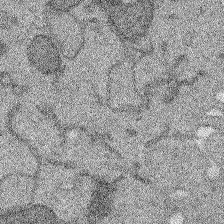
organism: Human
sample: HeLa cells